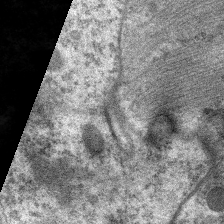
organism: C. elegans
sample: Pharynx